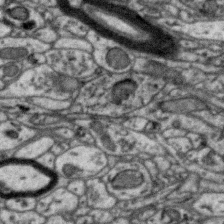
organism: Zebra finch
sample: Brain